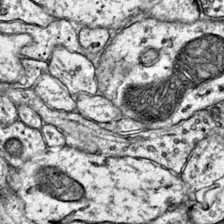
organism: Mouse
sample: Primary visual cortex